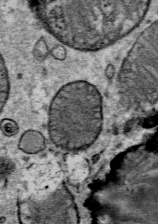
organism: Mouse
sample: Mouse Salivary gland